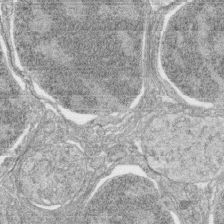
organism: Zebrafish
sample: synaptic ribbons in rod cells and cone cells